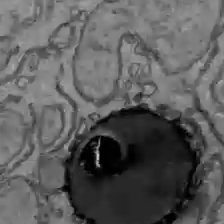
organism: C57BL Mouse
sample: Liver